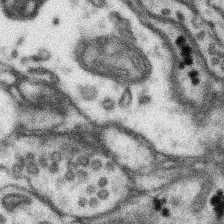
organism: Mouse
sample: Somatosensory cortex neuropil